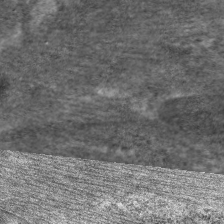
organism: C. elegans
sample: Pharynx